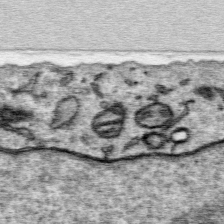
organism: Human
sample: HeLa cells